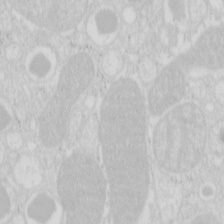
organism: Mouse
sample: Pancreas